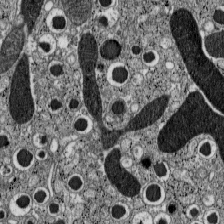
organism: C57BL Mouse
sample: Pancreatic islet